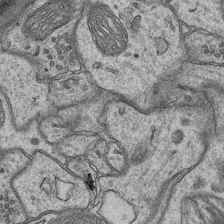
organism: Mouse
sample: CA1 Hippocampus